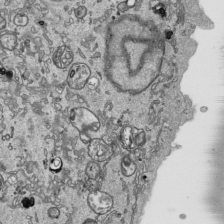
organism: Human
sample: Mitochondria in HCT116 cells